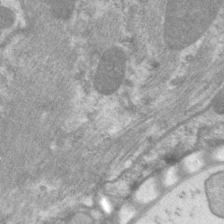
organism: C. elegans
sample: Pharynx